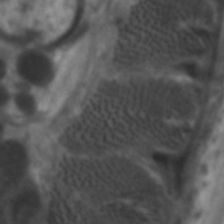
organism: C. elegans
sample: Pharynx